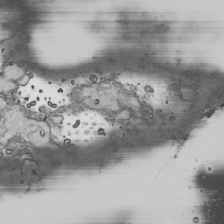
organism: Human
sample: Mitochondria in HCT116 cells